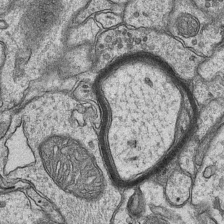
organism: Mouse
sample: CA1 Hippocampus